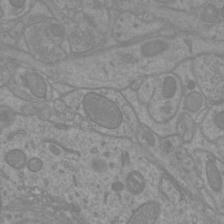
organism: Mouse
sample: Cortical neurons